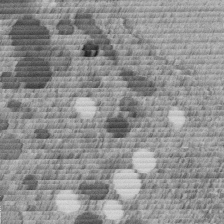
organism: C. elegans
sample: C. elegans embryo early stage